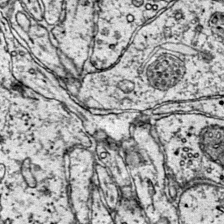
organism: Mouse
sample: Primary visual cortex